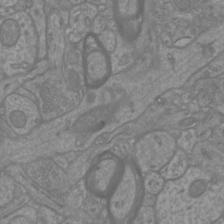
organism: Mouse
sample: Cortical neurons